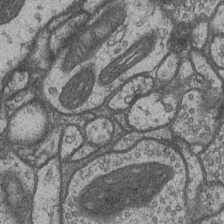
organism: Drosophila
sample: Optic medulla